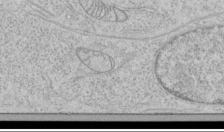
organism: Human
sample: Mitochondria in HCT116 cells